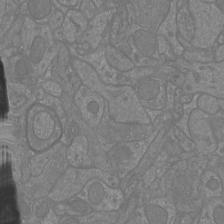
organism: Mouse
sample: Cortical neurons